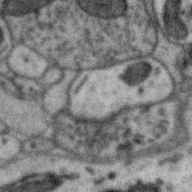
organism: Zebra finch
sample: Brain